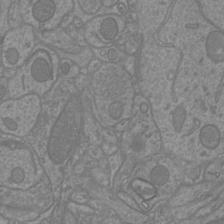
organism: Mouse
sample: Cortical neurons